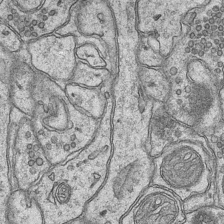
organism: Mouse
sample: CA1 Hippocampus